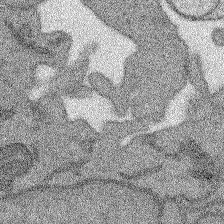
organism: Human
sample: HeLa cells